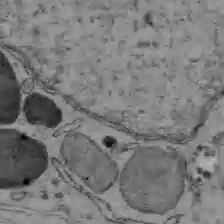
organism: C57BL Mouse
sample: Liver